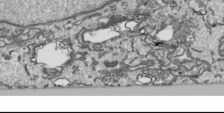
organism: Human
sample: Mitochondria in HCT116 cells